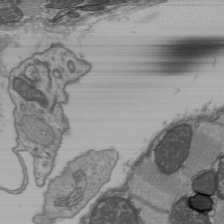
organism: C57BL Mouse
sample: Heart